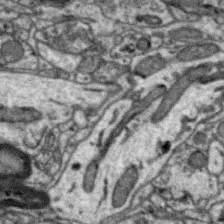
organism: Zebra finch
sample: Brain